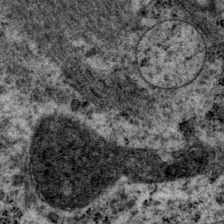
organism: P. pacificus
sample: Pharynx